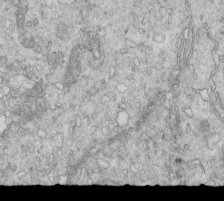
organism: Mouse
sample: Multiciliated cells